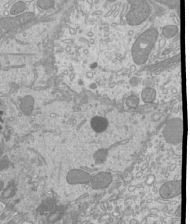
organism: Mouse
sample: Cilia; mouse epididymis